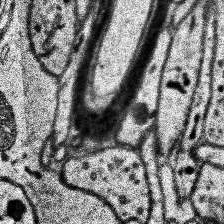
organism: Human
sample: Temporal Lobe